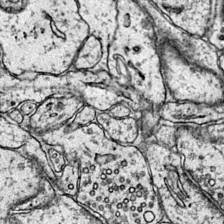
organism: Mouse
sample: Primary visual cortex